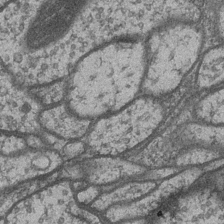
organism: Drosophila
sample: Optic medulla